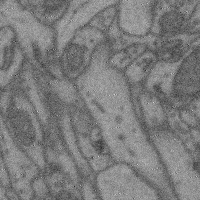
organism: Mouse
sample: Cerebral cortex